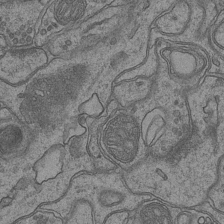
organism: Mouse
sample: CA1 Hippocampus